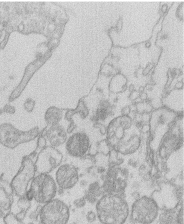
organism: Human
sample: Macrophage cells